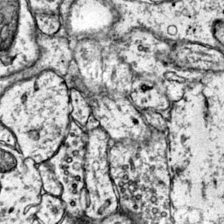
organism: Mouse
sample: Primary visual cortex